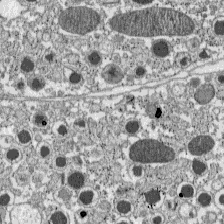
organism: C57BL Mouse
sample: Pancreatic islet